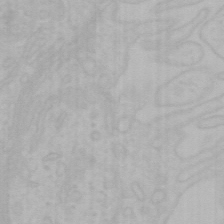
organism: Mouse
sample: Choroid plexus